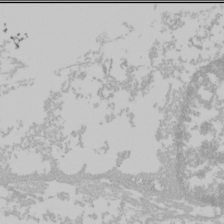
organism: Mouse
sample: Cancer cell death in ED-1 cells